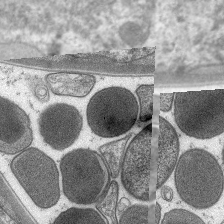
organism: C. elegans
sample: Pharynx